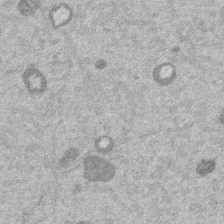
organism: Mouse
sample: Dividing mouse embryo 1 cell stage